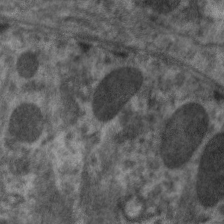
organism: C. elegans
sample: Pharynx